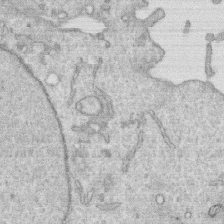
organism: Human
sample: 1205lu cells